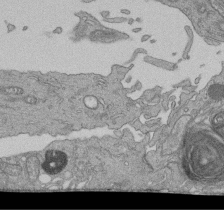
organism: Human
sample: Retinal organoid Rod and Cone cells